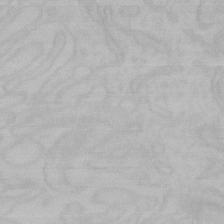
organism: Mouse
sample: Choroid plexus